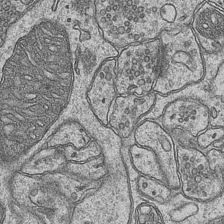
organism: Mouse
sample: CA1 Hippocampus